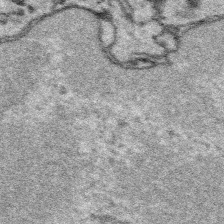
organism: Platynereis dumerilii